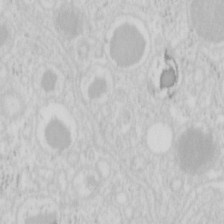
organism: Mouse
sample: Pancreas